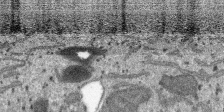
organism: Human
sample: Lung epithelial cells infected with SARS-CoV-2